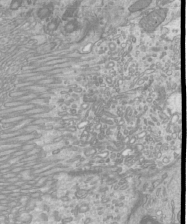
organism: Mouse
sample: Cilia; mouse epididymis